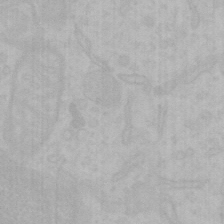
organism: Mouse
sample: Choroid plexus